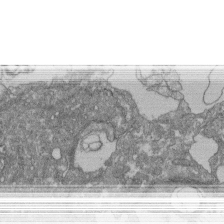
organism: Human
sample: Retinal organoid Rod and Cone cells